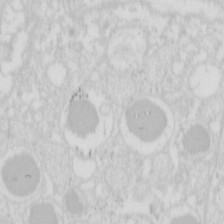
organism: Mouse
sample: Pancreas